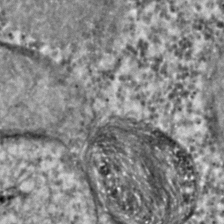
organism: C. elegans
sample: C. elegans embryo